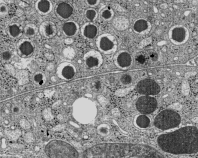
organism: C57BL Mouse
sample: Pancreatic islet